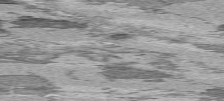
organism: C57BL Mouse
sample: Heart